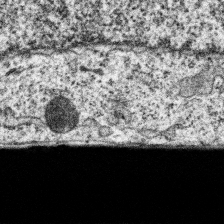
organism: Human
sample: HeLa cells